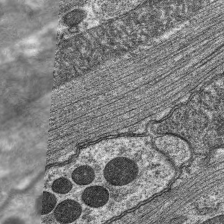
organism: C. elegans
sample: Pharynx